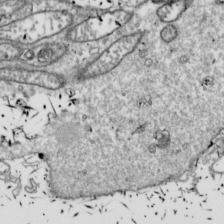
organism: Drosophila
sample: Cell division; meiosis; drosophila spermatocytes